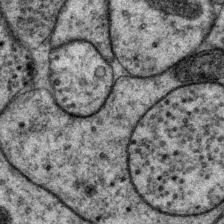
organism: P. pacificus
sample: Pharynx